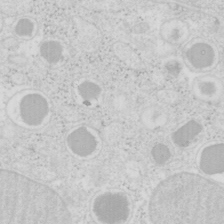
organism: Mouse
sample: Pancreas